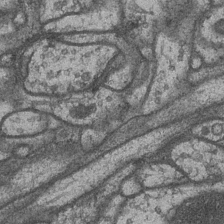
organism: Drosophila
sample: Optic medulla